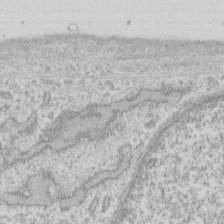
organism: Human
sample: Fibroblast cells